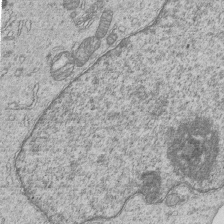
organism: Human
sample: MDA-MB-231 cells